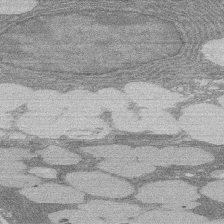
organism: Rat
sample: Salivary granule